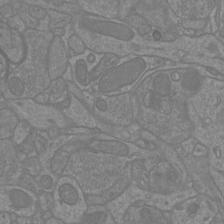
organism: Mouse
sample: Cortical neurons